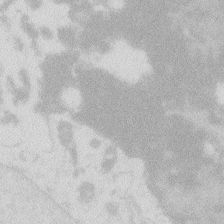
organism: Zebrafish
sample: Macrophage